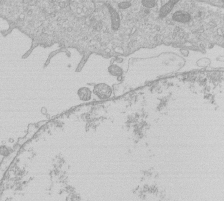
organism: Human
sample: Macrophage cells